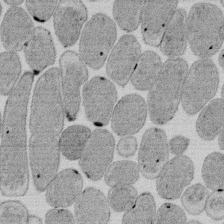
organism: E. coli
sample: Bacterial nucleoid